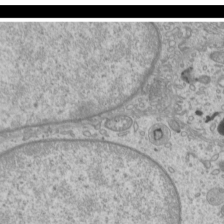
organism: Mouse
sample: Cilia; mouse epididymis